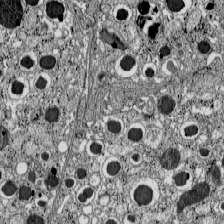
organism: C57BL Mouse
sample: Pancreatic islet